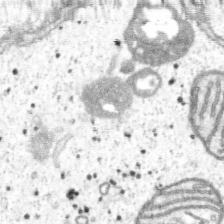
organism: Human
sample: HeLa cells